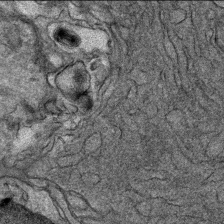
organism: Mouse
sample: Mouse Salivary gland